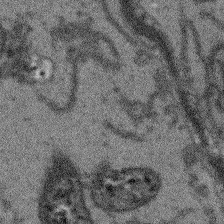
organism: Arabidopsis thaliana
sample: Root tip